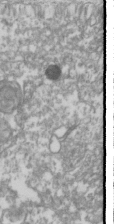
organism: Drosophila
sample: Cell division; meiosis; drosophila spermatocytes